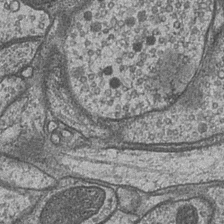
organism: Drosophila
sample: Optic medulla